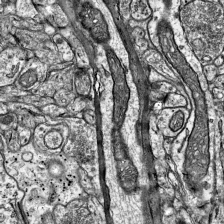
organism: Mouse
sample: Visual Cortex